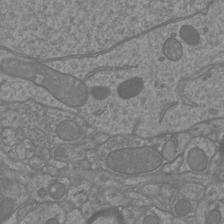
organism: Mouse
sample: Cortical neurons